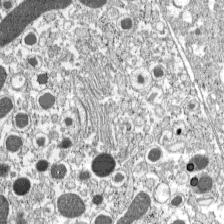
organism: C57BL Mouse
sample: Pancreatic islet